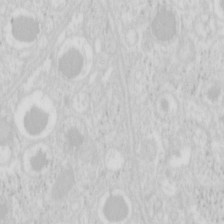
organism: Mouse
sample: Pancreas